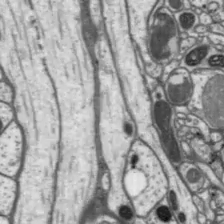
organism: Drosophila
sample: Protocerebral bridge